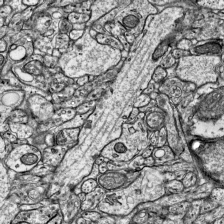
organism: Mouse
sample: Visual Cortex